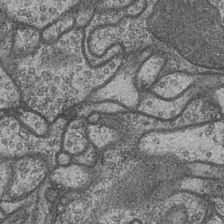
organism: Drosophila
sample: Optic medulla